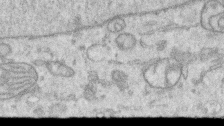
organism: Human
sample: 1205lu cells